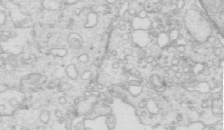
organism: Mouse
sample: Multiciliated cells